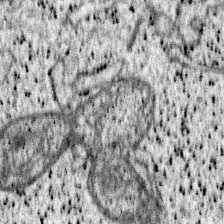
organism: Human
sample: HeLa cells